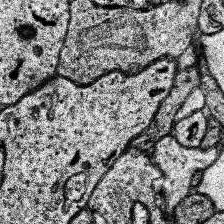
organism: Human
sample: Temporal Lobe